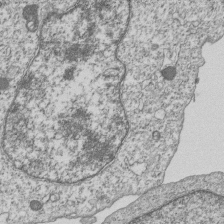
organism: Human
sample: MDA-MB-231 cells